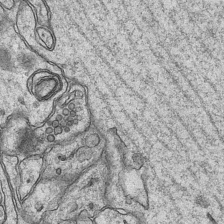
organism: Mouse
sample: CA1 Hippocampus